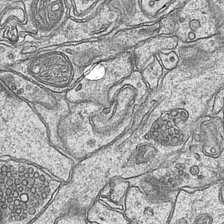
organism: Mouse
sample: CA1 Hippocampus